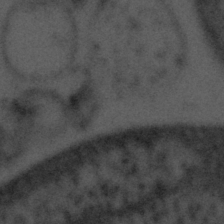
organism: Tuwongella immobilis